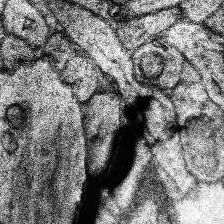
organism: Human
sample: Temporal Lobe